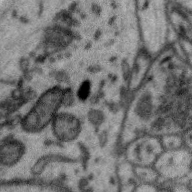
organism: Zebra finch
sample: Brain